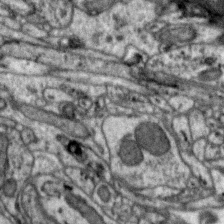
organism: Zebra finch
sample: Brain